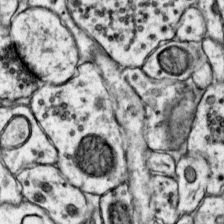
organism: Mouse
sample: Primary visual cortex